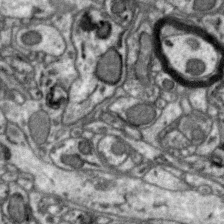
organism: Zebra finch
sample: Brain